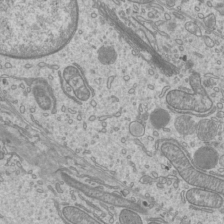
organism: Mouse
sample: Cilia; mouse epididymis